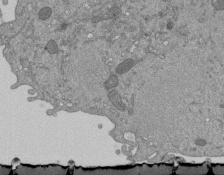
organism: Mouse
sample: ED-1 cell nuclei; centrioles